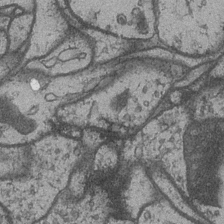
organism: Drosophila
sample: Optic medulla